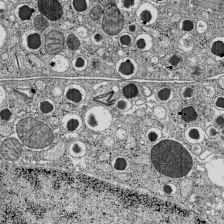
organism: C57BL Mouse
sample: Pancreatic islet